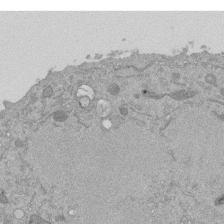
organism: Mouse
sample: ED-1 cell nuclei; centrioles